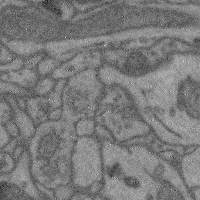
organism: Mouse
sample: Cerebral cortex